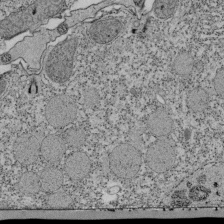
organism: Tetrahymena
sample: Cilia in tetrahymena